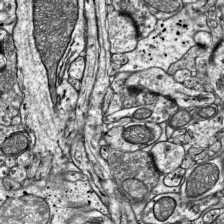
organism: Mouse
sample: Visual Cortex